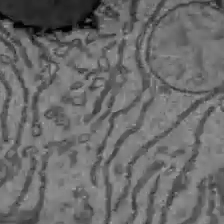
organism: C57BL Mouse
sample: Liver